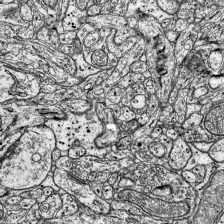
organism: Mouse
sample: Visual Cortex